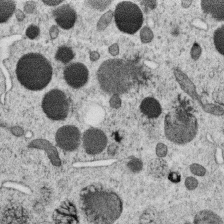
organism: C. elegans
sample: C. elegans oocyte; sperm cells